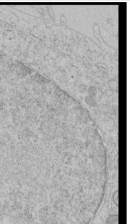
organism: Human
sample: Mitochondria in HCT116 cells